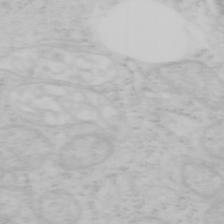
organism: Mouse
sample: OT-I killer T cells with ID8 ovarian cancer cells